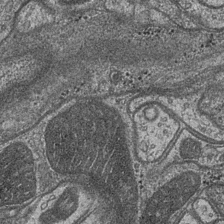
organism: Drosophila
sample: Optic medulla